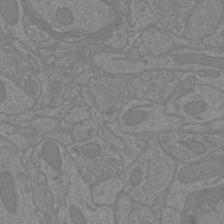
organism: Mouse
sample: Cortical neurons